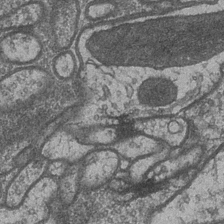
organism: Drosophila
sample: Optic medulla